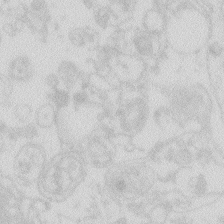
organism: Zebrafish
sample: Macrophage